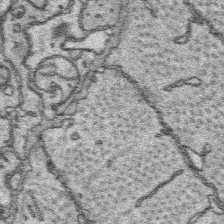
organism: Platynereis dumerilii